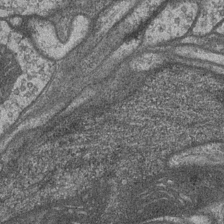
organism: Drosophila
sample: Optic medulla